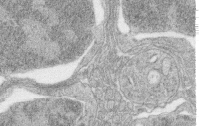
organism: Zebrafish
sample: synaptic ribbons in rod cells and cone cells